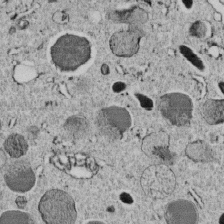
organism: C. elegans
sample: C. elegans embryo early stage